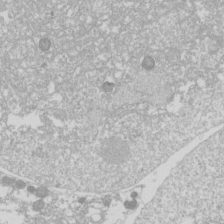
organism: Drosophila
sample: Cell division; meiosis; drosophila spermatocytes